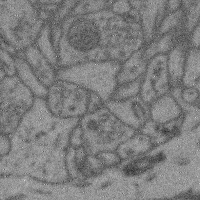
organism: Mouse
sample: Cerebral cortex